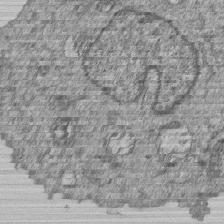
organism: Human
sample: MDA-MB-231 cells